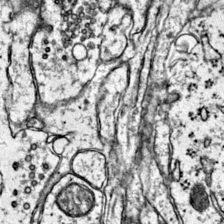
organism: Mouse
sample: Primary visual cortex